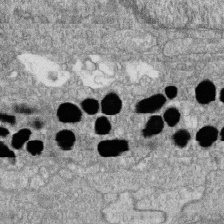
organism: Zebrafish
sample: Cilia; retinal pigment epithelium